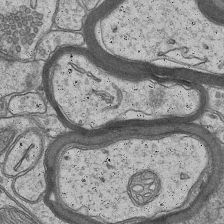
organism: Mouse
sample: CA1 Hippocampus